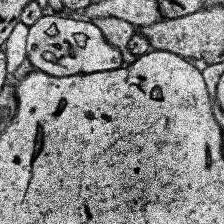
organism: Human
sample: Temporal Lobe